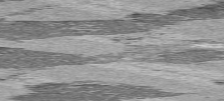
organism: C57BL Mouse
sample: Heart